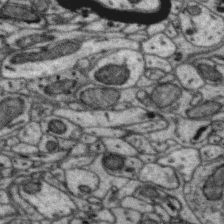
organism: Zebra finch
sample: Brain